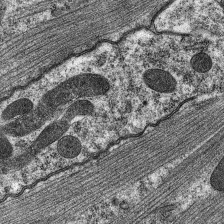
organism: C. elegans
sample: Pharynx